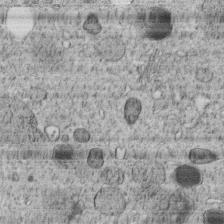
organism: C. elegans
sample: C. elegans embryo early stage